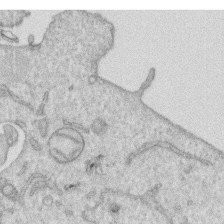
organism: Human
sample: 1205lu cells